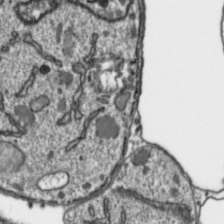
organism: Toxoplasma gondii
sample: Parasites in a vacuole inside a host cell